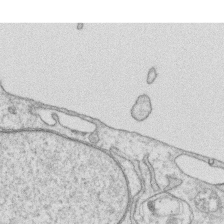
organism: Human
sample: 1205lu cells